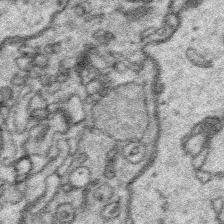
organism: Platynereis dumerilii